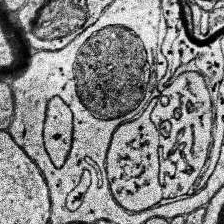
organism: Human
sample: Temporal Lobe